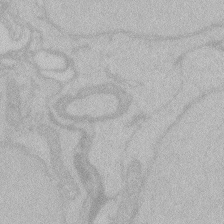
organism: Zebrafish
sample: Macrophage infected with Toxoplasma gondii